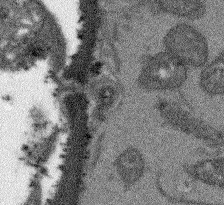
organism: Arabidopsis thaliana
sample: Root tip